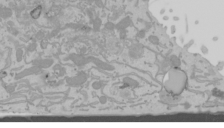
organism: Mouse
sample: Cancer cell death in ED-1 cells